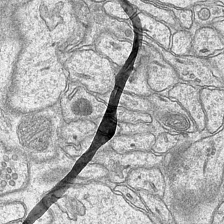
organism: Mouse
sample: CA1 Hippocampus